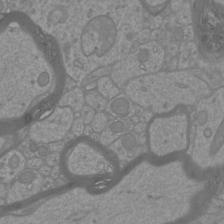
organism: Mouse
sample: Cortical neurons